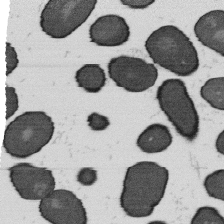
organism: B. subtilis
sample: Bacterial spore